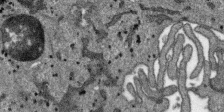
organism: Human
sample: Lung epithelial cells, uninfected (mock) control